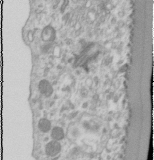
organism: Human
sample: Cilia; basal body in RPE cells